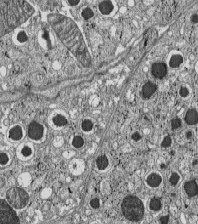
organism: C57BL Mouse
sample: Pancreatic islet